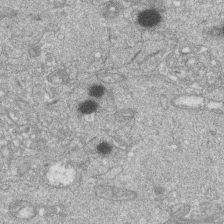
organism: Human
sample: HeLa cell HIV synapse